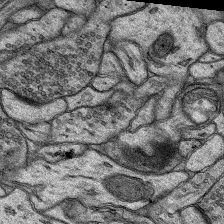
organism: Rat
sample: Hippocampus